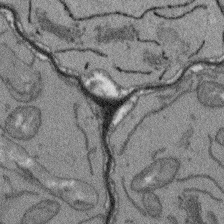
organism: Arabidopsis thaliana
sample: Root tip